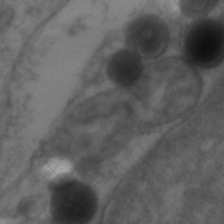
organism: Zebrafish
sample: Zebrafish embryo